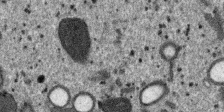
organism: Human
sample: Lung epithelial cells infected with SARS-CoV-2